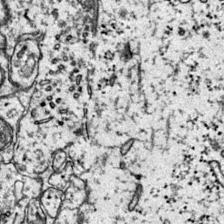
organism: Mouse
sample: Primary visual cortex